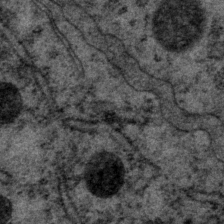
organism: P. pacificus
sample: Pharynx